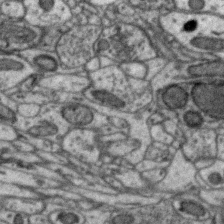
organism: Zebra finch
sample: Brain